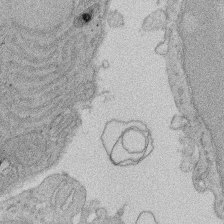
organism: Rat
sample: Salivary granule